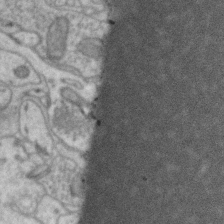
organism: Zebra finch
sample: Brain